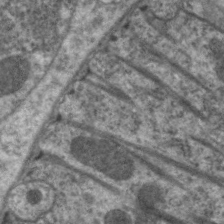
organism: C. elegans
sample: Pharynx